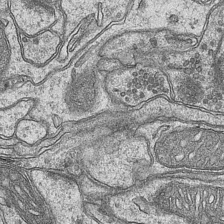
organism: Mouse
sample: CA1 Hippocampus